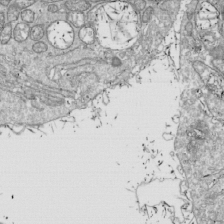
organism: Drosophila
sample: Cell division; meiosis; drosophila spermatocytes